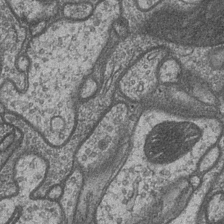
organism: Drosophila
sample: Optic medulla